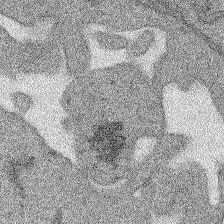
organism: Human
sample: HeLa cells